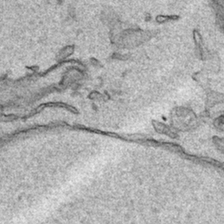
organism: Human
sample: Mitochondria in HCT116 cells